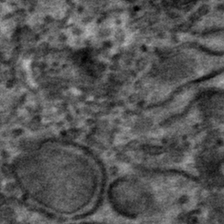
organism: Mouse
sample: Mouse hepatocytes